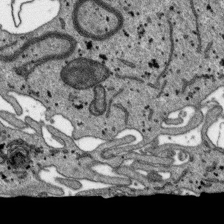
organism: Human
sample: Lung epithelial cells, uninfected (mock) control